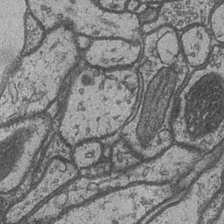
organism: Drosophila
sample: Optic medulla